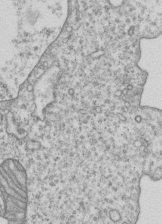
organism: Human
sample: MDA-MB-231 cells